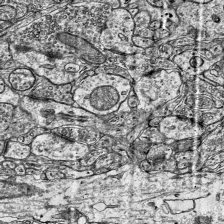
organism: Mouse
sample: Visual Cortex